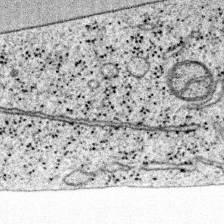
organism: Human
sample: HeLa cells